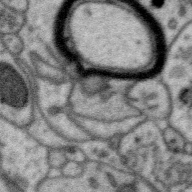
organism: Zebra finch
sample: Brain